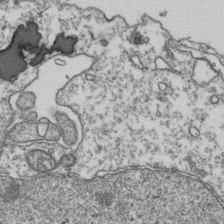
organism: Human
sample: Activated Jurkat CD4+ T cells